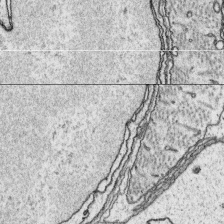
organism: Platynereis dumerilii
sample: Parapodia